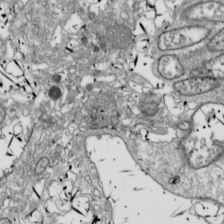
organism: Drosophila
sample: Cell division; meiosis; drosophila spermatocytes